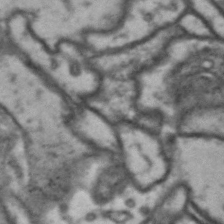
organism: Drosophila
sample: Brain